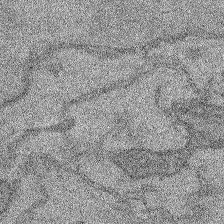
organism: Human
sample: HeLa cells